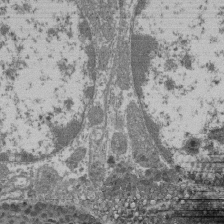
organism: Mouse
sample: Glomerulus